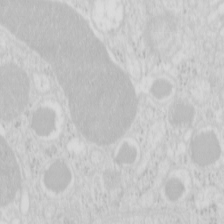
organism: Mouse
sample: Pancreas